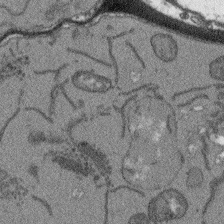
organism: Arabidopsis thaliana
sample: Root tip